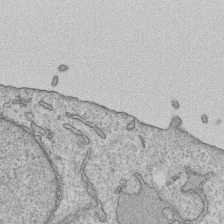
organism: Human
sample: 1205lu cells